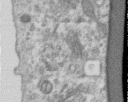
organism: Human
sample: Centriole in RPE cells